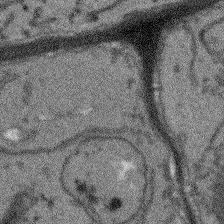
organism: Arabidopsis thaliana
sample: Root tip